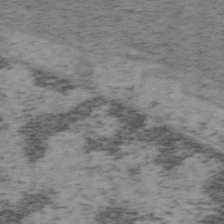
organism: Mouse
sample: OT-I killer T cells with ID8 ovarian cancer cells